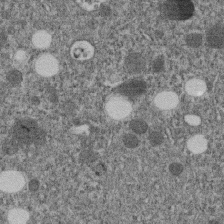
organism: C. elegans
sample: C. elegans embryo early stage